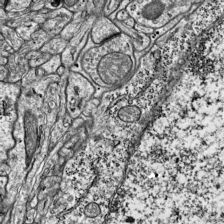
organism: Mouse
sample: Visual Cortex